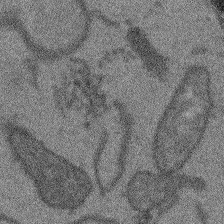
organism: Arabidopsis thaliana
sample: Root tip